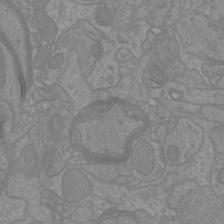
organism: Mouse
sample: Cortical neurons